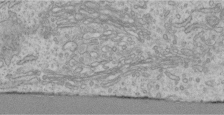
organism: Human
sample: Centriole in RPE cells